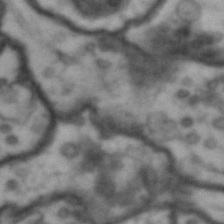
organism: Drosophila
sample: Brain